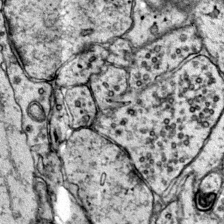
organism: Mouse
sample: Primary visual cortex